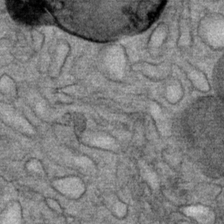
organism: Mouse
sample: Mouse Salivary gland